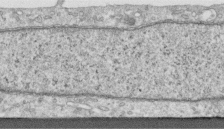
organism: Human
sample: Centriole in RPE cells